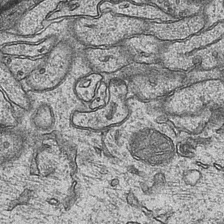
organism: Mouse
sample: CA1 Hippocampus